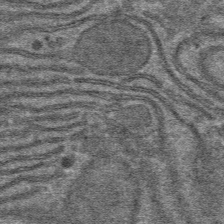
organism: Mouse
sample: Mouse hepatocytes